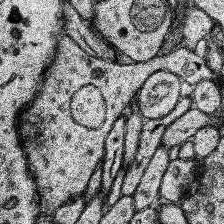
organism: Human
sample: Temporal Lobe